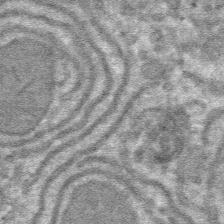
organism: Mouse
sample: Mouse hepatocytes